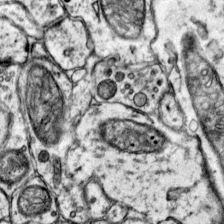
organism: Mouse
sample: Primary visual cortex